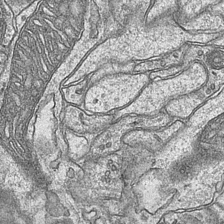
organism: Mouse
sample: CA1 Hippocampus